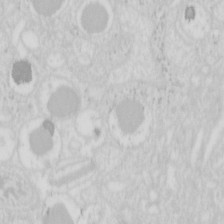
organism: Mouse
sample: Pancreas